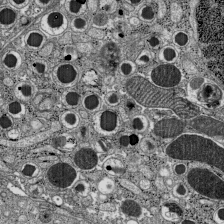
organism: C57BL Mouse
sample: Pancreatic islet